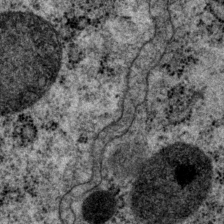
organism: P. pacificus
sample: Pharynx